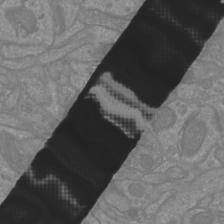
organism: Mouse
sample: Cortical neurons